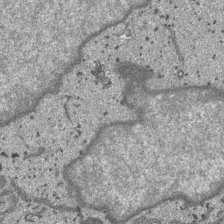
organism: Human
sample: Lung epithelial cells infected with SARS-CoV-2